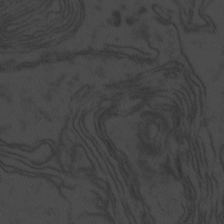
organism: Zebrafish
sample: Macrophage infected with Toxoplasma gondii